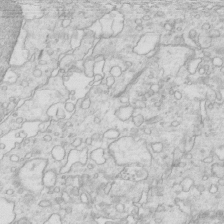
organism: Mouse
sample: Multiciliated cells